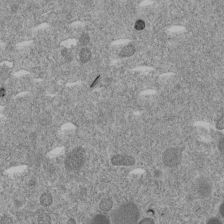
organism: C. elegans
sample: C. elegans embryo early stage